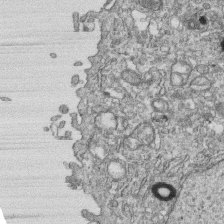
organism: Human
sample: HeLa cell HIV synapse